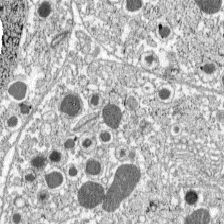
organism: C57BL Mouse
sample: Pancreatic islet